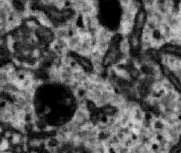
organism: Human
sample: HeLa cells